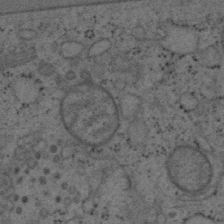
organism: Human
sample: HeLa cells